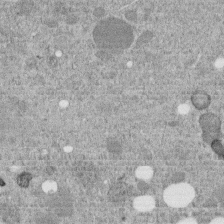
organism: C. elegans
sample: C. elegans embryo early stage